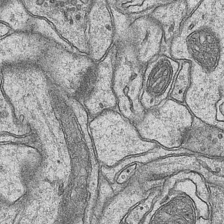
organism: Mouse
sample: CA1 Hippocampus